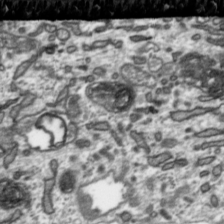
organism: Toxoplasma gondii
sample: Parasites in a vacuole inside a host cell